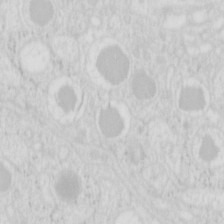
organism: Mouse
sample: Pancreas